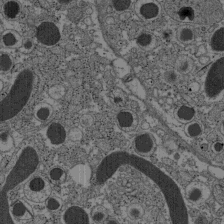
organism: C57BL Mouse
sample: Pancreatic islet